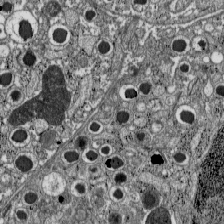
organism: C57BL Mouse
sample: Pancreatic islet